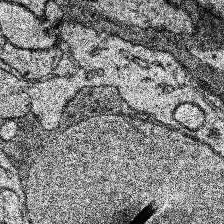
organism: Human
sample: Temporal Lobe